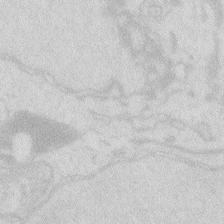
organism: Zebrafish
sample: Macrophage